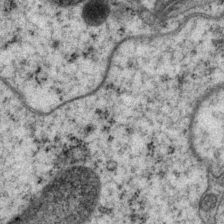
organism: P. pacificus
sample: Pharynx